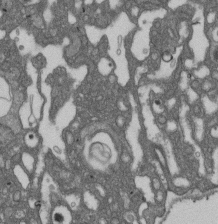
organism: Drosophila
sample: Nephrocyte